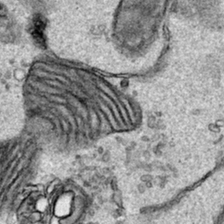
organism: Human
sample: Mitochondria in HCT116 cells